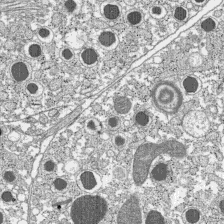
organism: C57BL Mouse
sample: Pancreatic islet